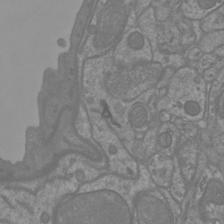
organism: Mouse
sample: Cortical neurons